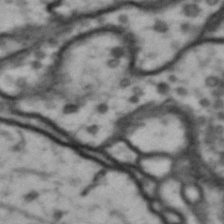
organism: Drosophila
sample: Brain